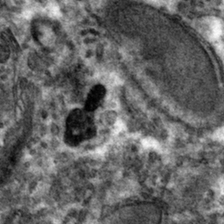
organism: Mouse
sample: Mouse hepatocytes